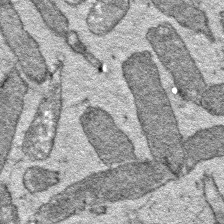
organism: E. coli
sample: E. Coli Bacteria